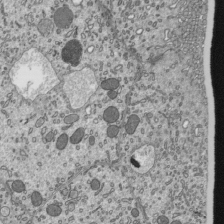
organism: Mouse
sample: Mouse epididymis efferent ductule cilia